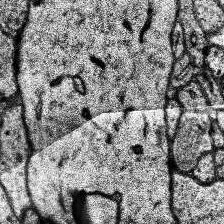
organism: Human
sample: Temporal Lobe